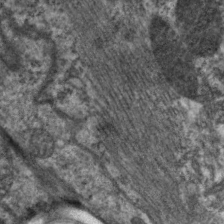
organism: C. elegans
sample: Pharynx